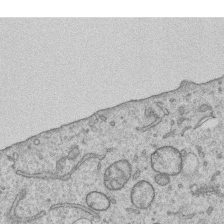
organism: Human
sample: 1205lu cells